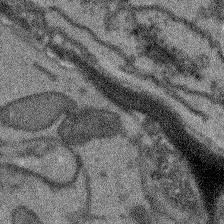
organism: Arabidopsis thaliana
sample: Root tip